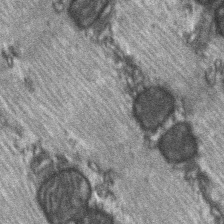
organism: C57BL Mouse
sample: Soleus